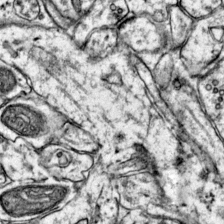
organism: Mouse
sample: Primary visual cortex